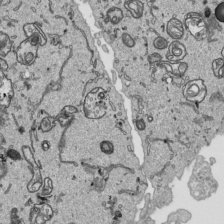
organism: Human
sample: Mitochondria in HCT116 cells